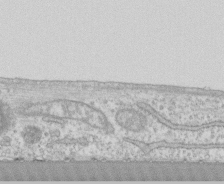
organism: Human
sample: CRL-1474